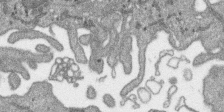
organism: Human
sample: Lung epithelial cells infected with SARS-CoV-2